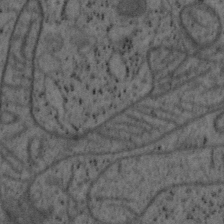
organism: Human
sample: HeLa cells